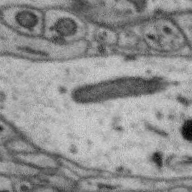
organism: Zebra finch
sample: Brain